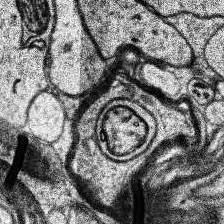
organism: Human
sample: Temporal Lobe